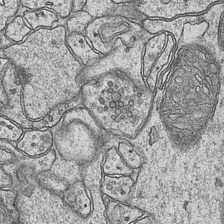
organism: Mouse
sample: CA1 Hippocampus